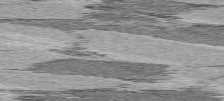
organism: C57BL Mouse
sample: Heart